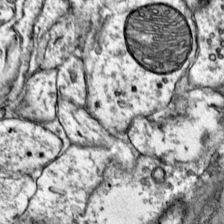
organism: Mouse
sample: Primary visual cortex